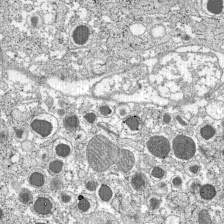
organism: C57BL Mouse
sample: Pancreatic islet